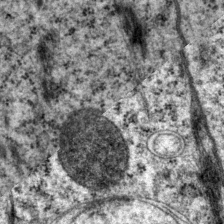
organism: P. pacificus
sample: Pharynx